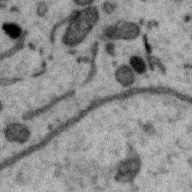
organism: Zebra finch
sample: Brain